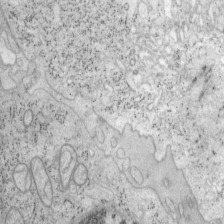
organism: Mouse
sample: OT-I killer T cells with ID8 ovarian cancer cells